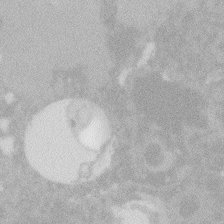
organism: Zebrafish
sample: Macrophage